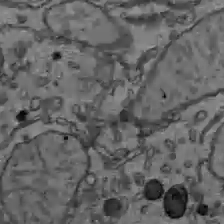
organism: C57BL Mouse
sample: Liver